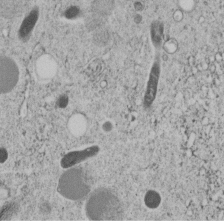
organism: C. elegans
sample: C. elegans embryo early stage